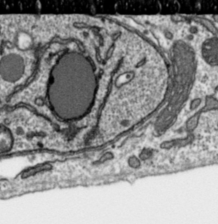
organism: Toxoplasma gondii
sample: Parasites in a vacuole inside a host cell